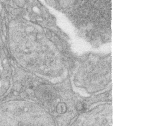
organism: Zebrafish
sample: synaptic ribbons in rod cells and cone cells